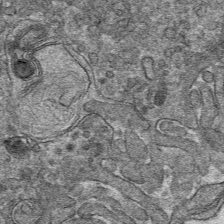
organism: Mouse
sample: Mouse hepatocytes